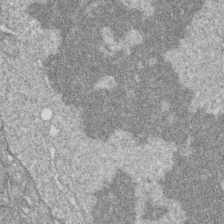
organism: Zebrafish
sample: Cilia; retinal pigment epithelium